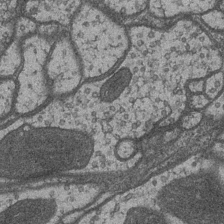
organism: Drosophila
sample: Optic medulla